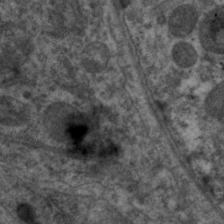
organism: C. elegans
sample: Pharynx